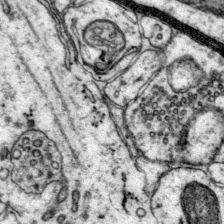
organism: Mouse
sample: Primary visual cortex